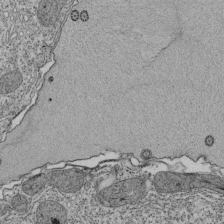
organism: Tetrahymena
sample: Cilia in tetrahymena